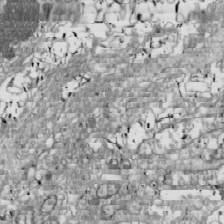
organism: Drosophila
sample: Cell division; meiosis; drosophila spermatocytes